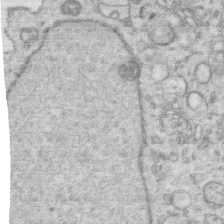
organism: Human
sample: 1205lu cells